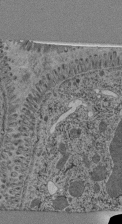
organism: C. elegans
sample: C. elegans pharynx